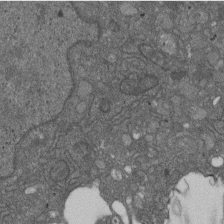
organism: Drosophila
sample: Nephrocyte